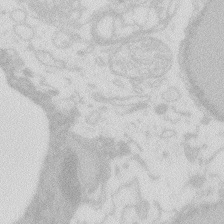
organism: Zebrafish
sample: Macrophage